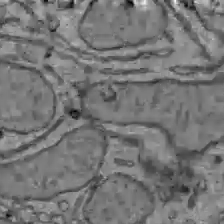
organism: C57BL Mouse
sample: Liver